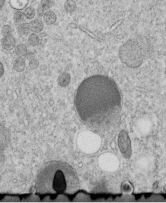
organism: C. elegans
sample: C. elegans embryo early stage